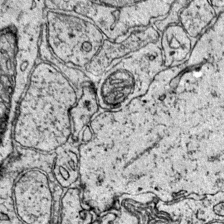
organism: Mouse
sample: Primary visual cortex